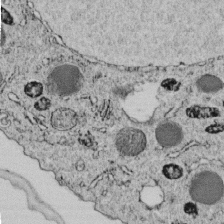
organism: C. elegans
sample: C. elegans embryo early stage